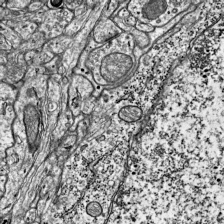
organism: Mouse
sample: Visual Cortex